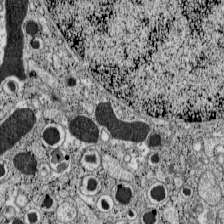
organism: C57BL Mouse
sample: Pancreatic islet